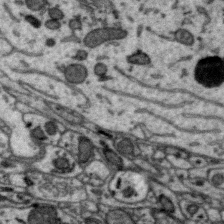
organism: Zebra finch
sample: Brain